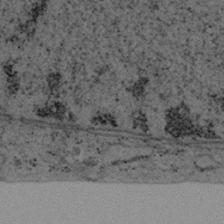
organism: Human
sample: HeLa cells